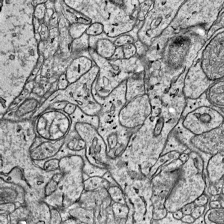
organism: Mouse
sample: Visual Cortex